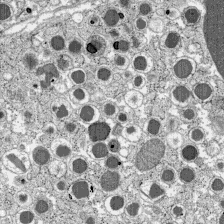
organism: C57BL Mouse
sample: Pancreatic islet